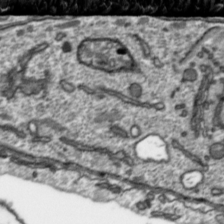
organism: Toxoplasma gondii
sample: Parasites in a vacuole inside a host cell